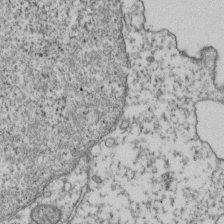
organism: Human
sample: Activated Jurkat CD4+ T cells